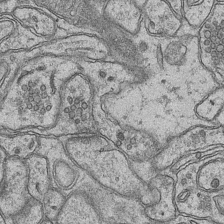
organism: Mouse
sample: CA1 Hippocampus